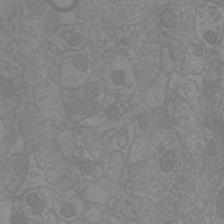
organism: Mouse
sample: Cortical neurons